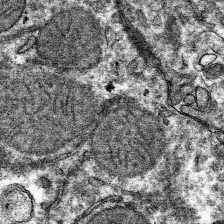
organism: Mouse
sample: Mouse hepatocytes